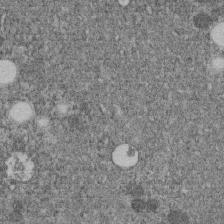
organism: C. elegans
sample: C. elegans embryo early stage